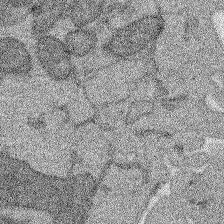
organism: Human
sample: HeLa cells